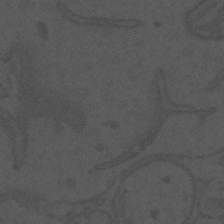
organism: Mouse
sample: Suprachiasmatic nucleus